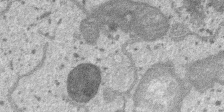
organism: Human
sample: Lung epithelial cells infected with SARS-CoV-2